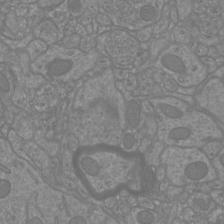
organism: Mouse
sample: Cortical neurons